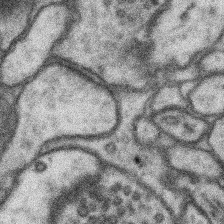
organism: Mouse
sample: Somatosensory cortex neuropil